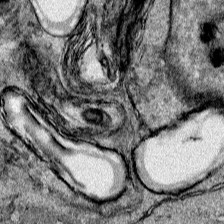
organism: Human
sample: Mitochondria in HCT116 cells